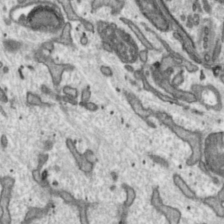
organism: Toxoplasma gondii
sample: Parasites in a vacuole inside a host cell